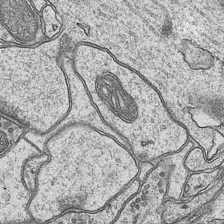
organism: Mouse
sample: CA1 Hippocampus